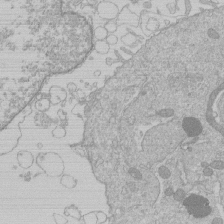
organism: Human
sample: Macrophage cells